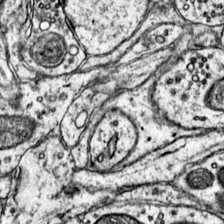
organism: Mouse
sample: Primary visual cortex